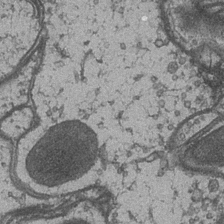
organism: Drosophila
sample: Optic medulla